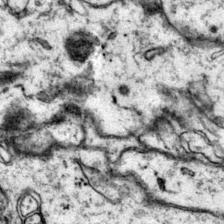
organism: Mouse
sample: Primary visual cortex